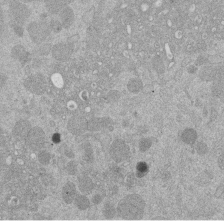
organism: Mouse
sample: Dividing mouse embryo 1 cell stage